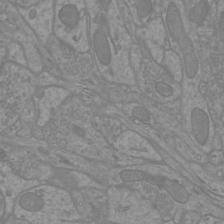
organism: Mouse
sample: Cortical neurons